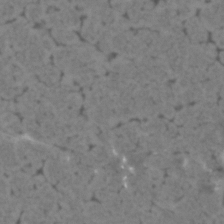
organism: Human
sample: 1205lu cells